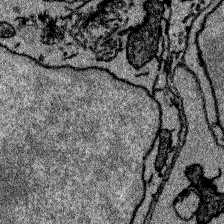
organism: Zebrafish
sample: Larval olfactory bulb